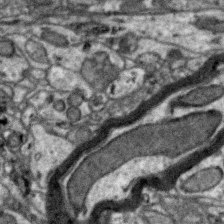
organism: Zebra finch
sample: Brain